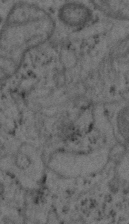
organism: Human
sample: HeLa cells